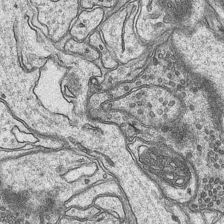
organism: Mouse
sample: CA1 Hippocampus